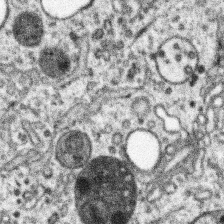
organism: Human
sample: HeLa cells